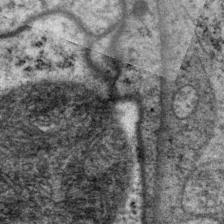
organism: P. pacificus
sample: Pharynx